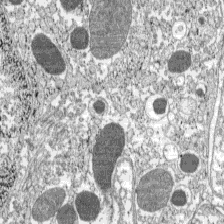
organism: C57BL Mouse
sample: Pancreatic islet